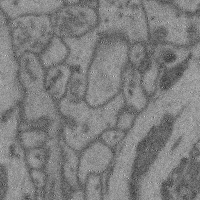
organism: Mouse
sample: Cerebral cortex